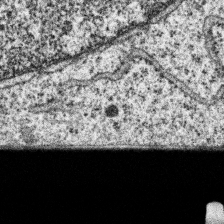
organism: Human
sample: HeLa cells